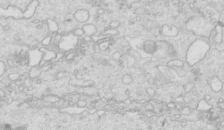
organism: Mouse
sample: Multiciliated cells